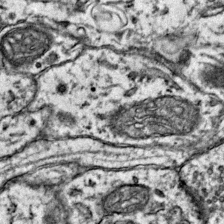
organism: Mouse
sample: Primary visual cortex